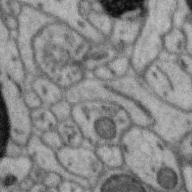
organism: Zebra finch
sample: Brain